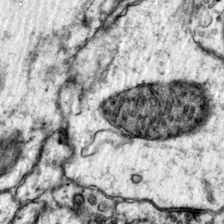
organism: Mouse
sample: Primary visual cortex